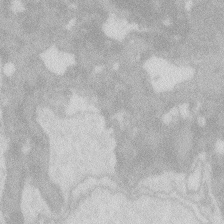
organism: Zebrafish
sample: Macrophage